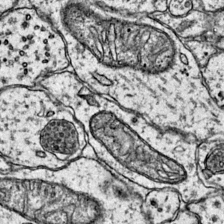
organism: Mouse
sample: Primary visual cortex